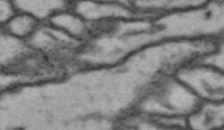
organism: Drosophila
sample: Brain